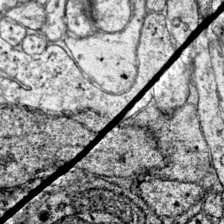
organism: Mouse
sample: Primary visual cortex